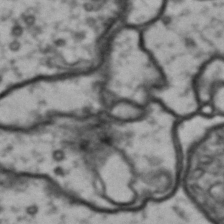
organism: Drosophila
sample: Brain